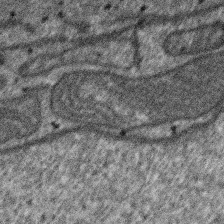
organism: Human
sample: Lung epithelial cells infected with SARS-CoV-2